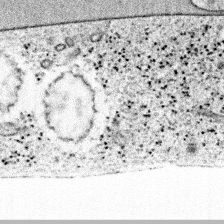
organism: Human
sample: HeLa cells